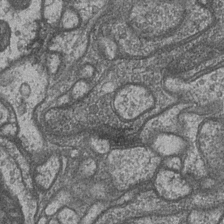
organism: Drosophila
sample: Optic medulla